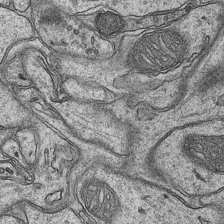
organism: Mouse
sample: CA1 Hippocampus